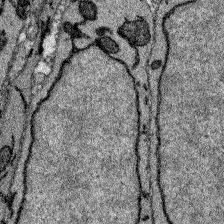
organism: Zebrafish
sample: Larval olfactory bulb